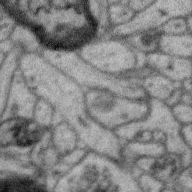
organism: Zebra finch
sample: Brain